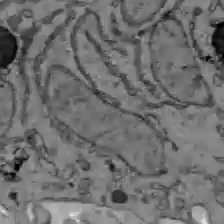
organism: C57BL Mouse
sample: Liver